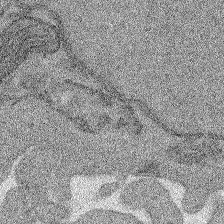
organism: Human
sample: HeLa cells